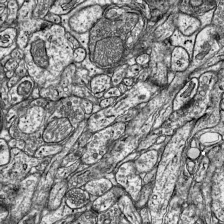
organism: Mouse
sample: Visual Cortex